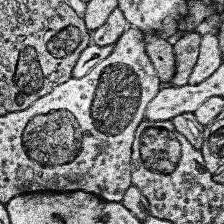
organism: Human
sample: Temporal Lobe